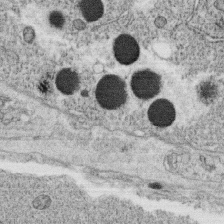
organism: C. elegans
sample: C. elegans oocyte; sperm cells